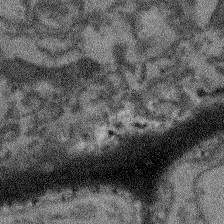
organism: Arabidopsis thaliana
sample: Root tip